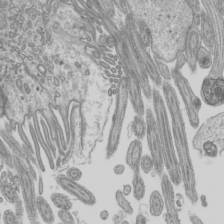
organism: Mouse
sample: Cilia; mouse epididymis